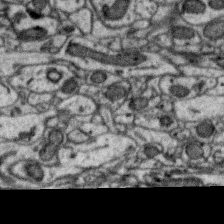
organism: Zebra finch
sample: Brain